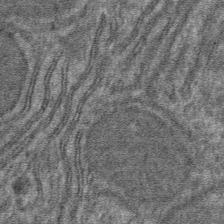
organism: Mouse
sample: Mouse hepatocytes